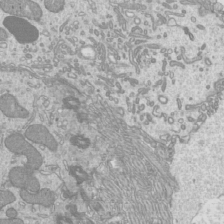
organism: Mouse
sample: Cilia; mouse epididymis